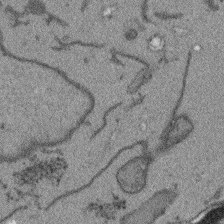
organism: Arabidopsis thaliana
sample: Root tip